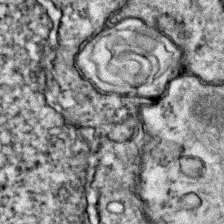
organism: Zebrafish